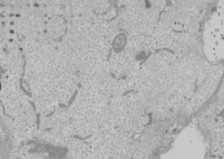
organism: Human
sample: Mitochondria in U2OS cells